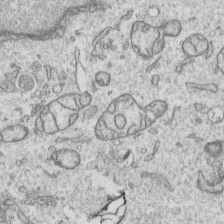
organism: Human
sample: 1205lu cells